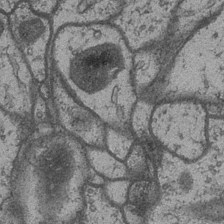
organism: Drosophila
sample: Optic medulla